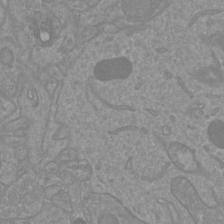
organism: Mouse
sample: Cortical neurons